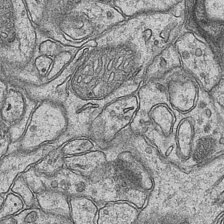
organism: Mouse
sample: CA1 Hippocampus